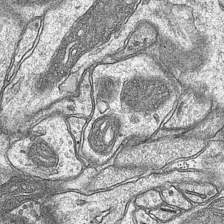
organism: Mouse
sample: CA1 Hippocampus